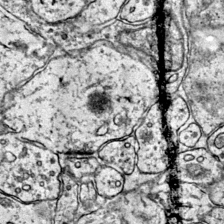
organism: Mouse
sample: Primary visual cortex